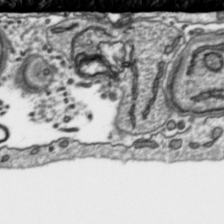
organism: Toxoplasma gondii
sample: Parasites in a vacuole inside a host cell